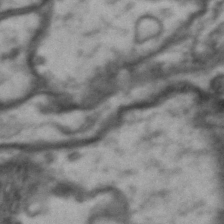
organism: Drosophila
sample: Brain